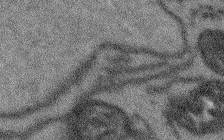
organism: Arabidopsis thaliana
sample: Root tip